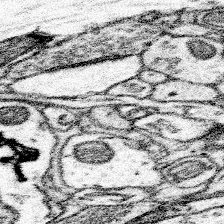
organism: Mouse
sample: Somatosensory cortex neuropil